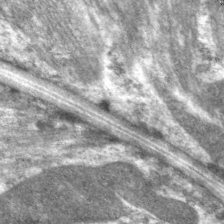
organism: C. elegans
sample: Pharynx